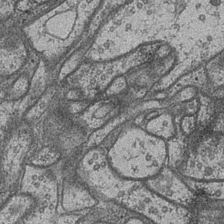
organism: Drosophila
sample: Optic medulla